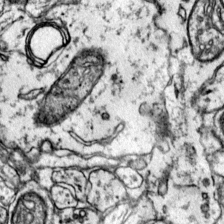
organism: Mouse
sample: Primary visual cortex